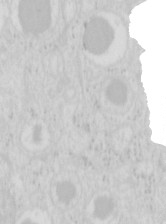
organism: Mouse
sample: Pancreas